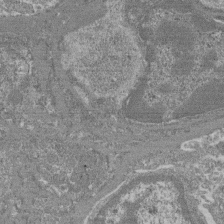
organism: Mouse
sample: Glomerulus